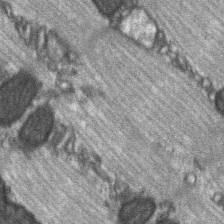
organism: C57BL Mouse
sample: Soleus